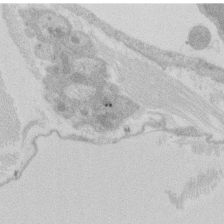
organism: Rat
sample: Salivary granule